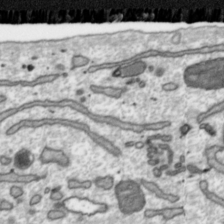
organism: Toxoplasma gondii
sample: Parasites in a vacuole inside a host cell